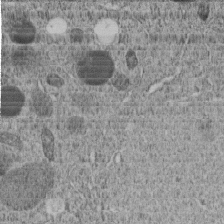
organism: C. elegans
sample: C. elegans embryo early stage